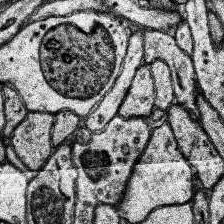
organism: Human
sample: Temporal Lobe